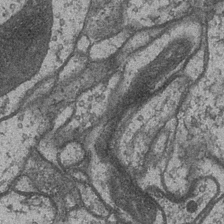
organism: Drosophila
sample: Optic medulla